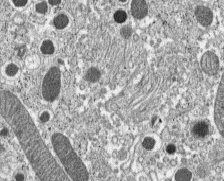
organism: C57BL Mouse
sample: Pancreatic islet